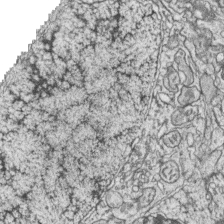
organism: Zebrafish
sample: synaptic ribbons in rod cells and cone cells